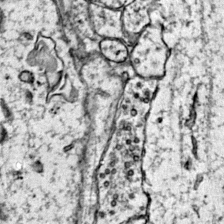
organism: Mouse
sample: Primary visual cortex